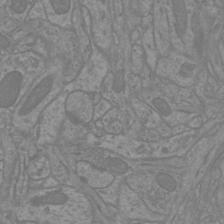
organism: Mouse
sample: Cortical neurons